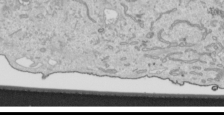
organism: Human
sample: Mitochondria in HCT116 cells